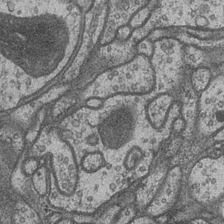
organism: Drosophila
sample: Optic medulla